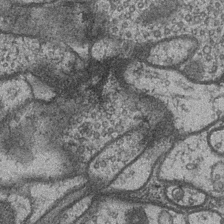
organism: Drosophila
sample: Optic medulla